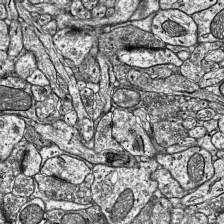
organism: Mouse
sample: Visual Cortex